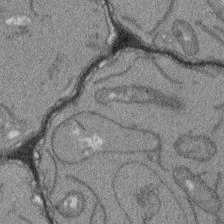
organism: Arabidopsis thaliana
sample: Root tip